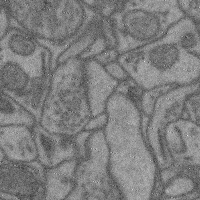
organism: Mouse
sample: Cerebral cortex